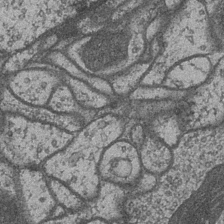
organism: Drosophila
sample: Optic medulla